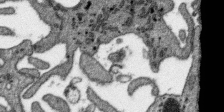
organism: Human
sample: Lung epithelial cells, uninfected (mock) control